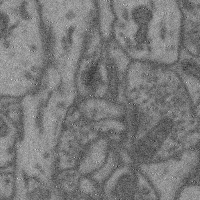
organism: Mouse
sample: Cerebral cortex